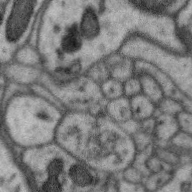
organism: Zebra finch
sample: Brain